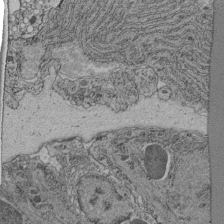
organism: C. elegans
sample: C. elegans pharynx